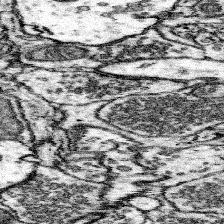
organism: Mouse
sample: Somatosensory cortex neuropil